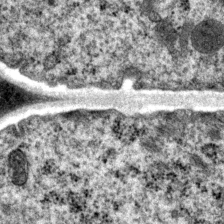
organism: P. pacificus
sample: Pharynx